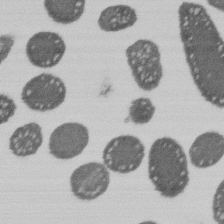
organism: E. coli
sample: Bacterial nucleoid